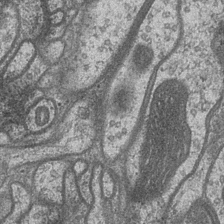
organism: Drosophila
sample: Optic medulla